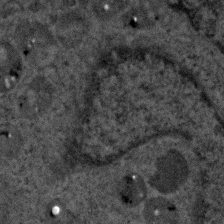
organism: Human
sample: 1205lu cells